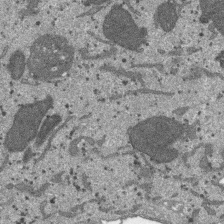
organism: Human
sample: Lung epithelial cells infected with SARS-CoV-2